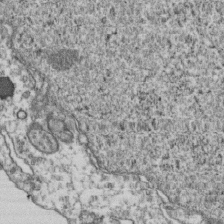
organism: Human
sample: Activated Jurkat CD4+ T cells